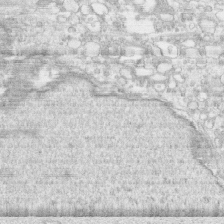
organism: Human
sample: CRL-1474